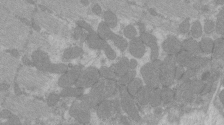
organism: C57BL Mouse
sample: Tibialis anterior muscle cell